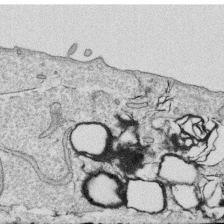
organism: Human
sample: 1205lu cells